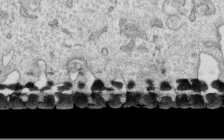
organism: Human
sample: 1205lu cells